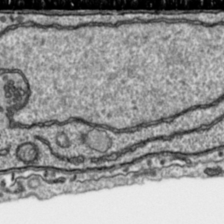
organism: Toxoplasma gondii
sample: Parasites in a vacuole inside a host cell